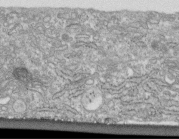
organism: Human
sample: Centriole in fibroblast cells